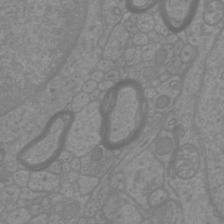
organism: Mouse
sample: Cortical neurons